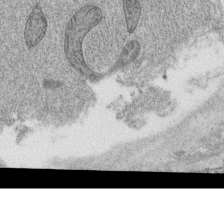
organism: C. elegans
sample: C. elegans oocyte; sperm cells